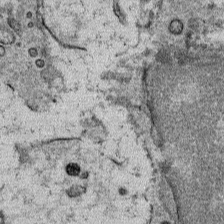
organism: Mouse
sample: Mouse Salivary gland